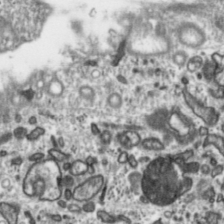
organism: Toxoplasma gondii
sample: Parasites in a vacuole inside a host cell